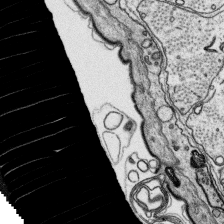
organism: Platynereis dumerilii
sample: Parapodia